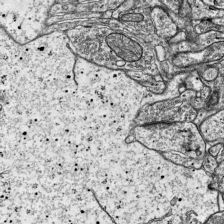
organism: Mouse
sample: Visual Cortex